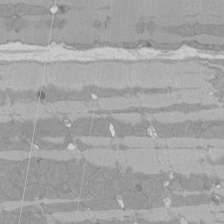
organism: Rat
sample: Left ventricle